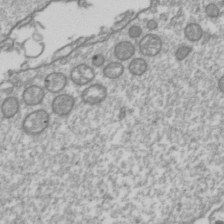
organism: Drosophila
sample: Cell division; meiosis; drosophila spermatocytes